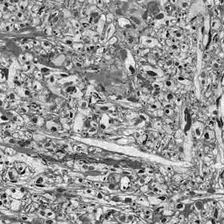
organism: Drosophila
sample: Optic lobe